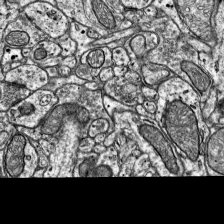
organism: Mouse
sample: Visual Cortex